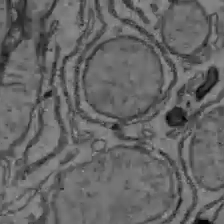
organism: C57BL Mouse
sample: Liver